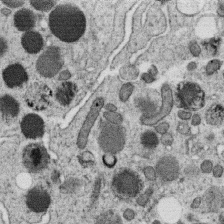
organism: C. elegans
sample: C. elegans oocyte; sperm cells